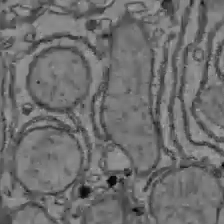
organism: C57BL Mouse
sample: Liver